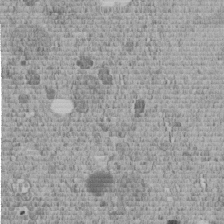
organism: C. elegans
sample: C. elegans embryo early stage